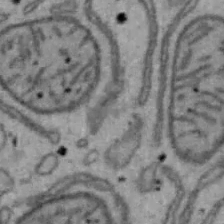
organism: Mouse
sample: Liver